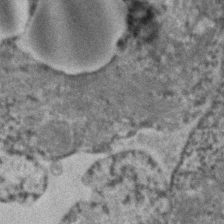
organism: Human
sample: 1205lu cells